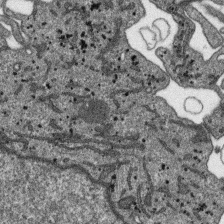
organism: Human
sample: Lung epithelial cells infected with SARS-CoV-2